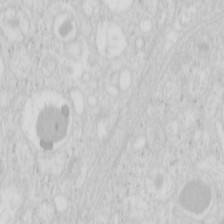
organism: Mouse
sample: Pancreas